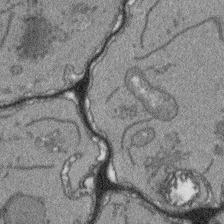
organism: Arabidopsis thaliana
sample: Root tip